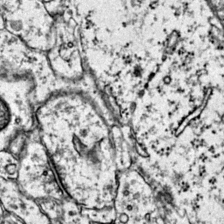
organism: Mouse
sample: Primary visual cortex